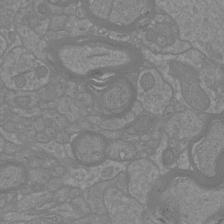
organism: Mouse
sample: Cortical neurons